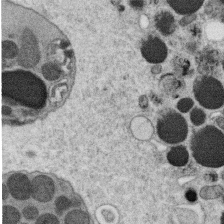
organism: C. elegans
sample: C. elegans oocyte; sperm cells